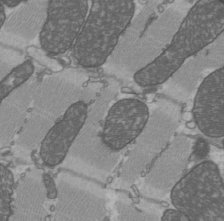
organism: C57BL Mouse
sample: Heart